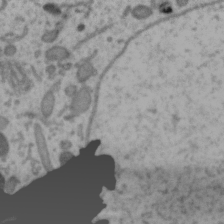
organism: Zebra finch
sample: Brain